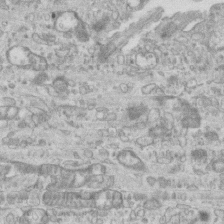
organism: Mouse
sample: Centriole in ependymal cells